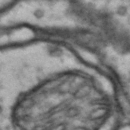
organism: Drosophila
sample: Brain